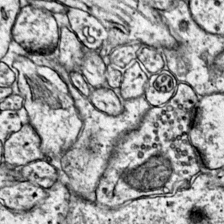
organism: Mouse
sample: Primary visual cortex